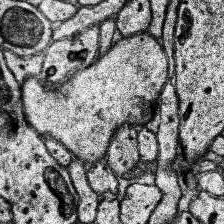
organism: Human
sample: Temporal Lobe